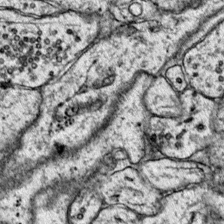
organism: Mouse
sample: Primary visual cortex